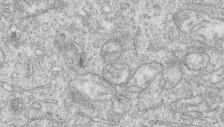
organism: Human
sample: HeLa cell HIV synapse